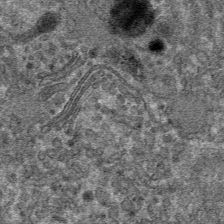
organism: Mouse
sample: Mouse hepatocytes